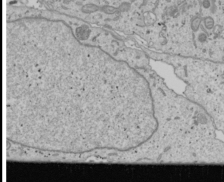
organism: Human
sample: Mitochondria in U2OS cells